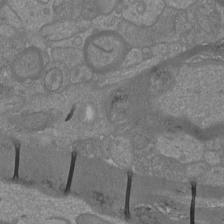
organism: Mouse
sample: Cortical neurons